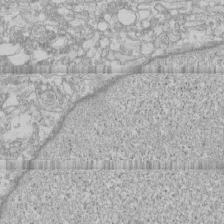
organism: Human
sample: CRL-1474